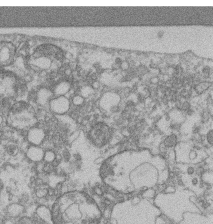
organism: Mouse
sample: T cell stromal cell synapse